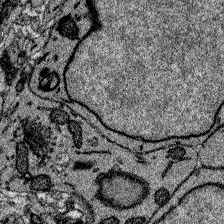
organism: Zebrafish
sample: Larval olfactory bulb